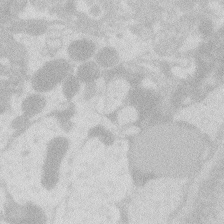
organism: Zebrafish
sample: Macrophage